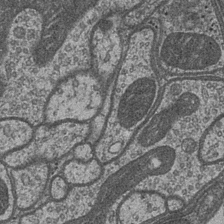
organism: Drosophila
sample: Optic medulla